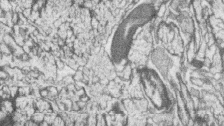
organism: Zebrafish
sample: synaptic ribbons in rod cells and cone cells